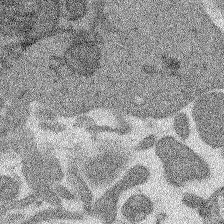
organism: Human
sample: HeLa cells